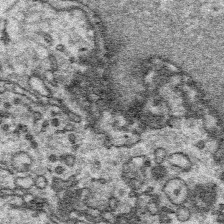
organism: Platynereis dumerilii